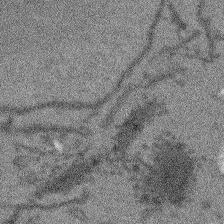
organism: Arabidopsis thaliana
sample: Root tip